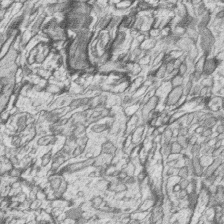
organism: Zebrafish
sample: synaptic ribbons in rod cells and cone cells